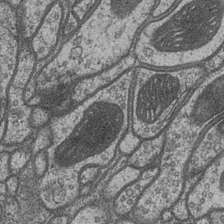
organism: Drosophila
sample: Optic medulla